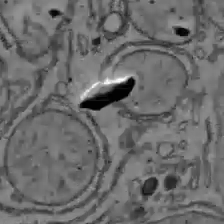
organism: C57BL Mouse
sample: Liver